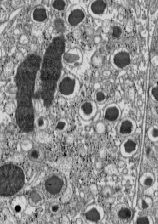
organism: C57BL Mouse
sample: Pancreatic islet